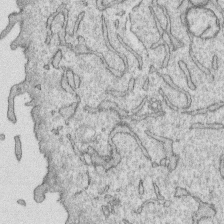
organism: Human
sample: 1205lu cells